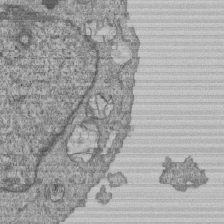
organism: Human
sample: MDA-MB-231 cells